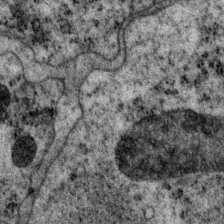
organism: P. pacificus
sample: Pharynx